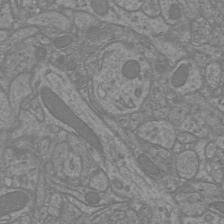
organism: Mouse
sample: Cortical neurons